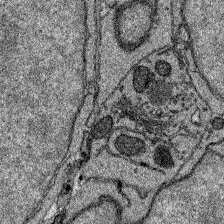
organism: Zebrafish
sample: Larval olfactory bulb